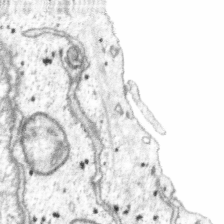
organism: Human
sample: HeLa cells